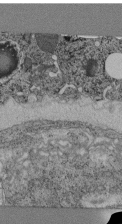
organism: C. elegans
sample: C. elegans pharynx